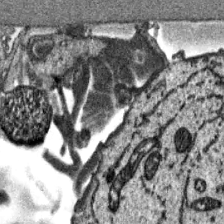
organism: Human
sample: HeLa cells